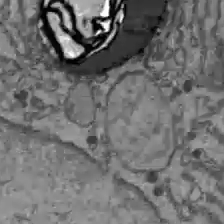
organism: C57BL Mouse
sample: Liver